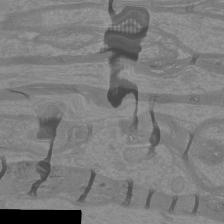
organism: Mouse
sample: Cortical neurons